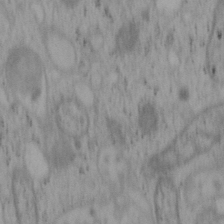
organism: Mouse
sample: OT-I killer T cells with ID8 ovarian cancer cells